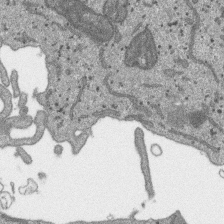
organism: Human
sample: Lung epithelial cells infected with SARS-CoV-2